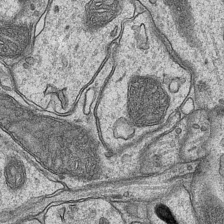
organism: Mouse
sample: CA1 Hippocampus